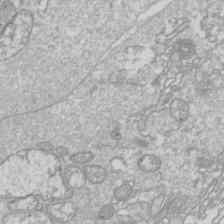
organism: Drosophila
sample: Cell division; meiosis; drosophila spermatocytes